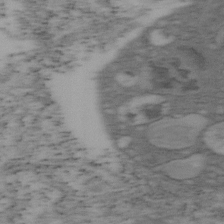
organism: Mouse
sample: OT-I killer T cells with ID8 ovarian cancer cells